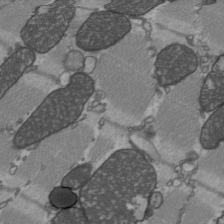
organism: C57BL Mouse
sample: Heart